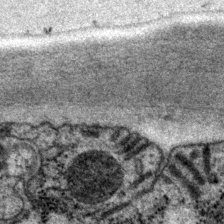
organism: P. pacificus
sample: Pharynx